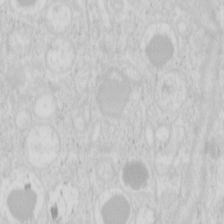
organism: Mouse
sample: Pancreas